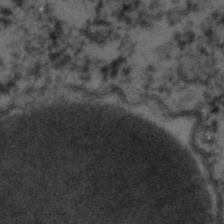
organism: C. elegans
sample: C. elegans embryo